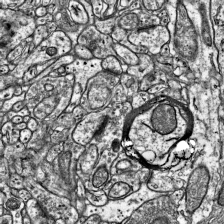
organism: Mouse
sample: Visual Cortex